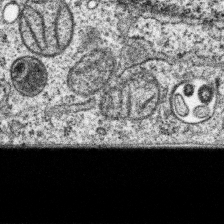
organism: Human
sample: HeLa cells